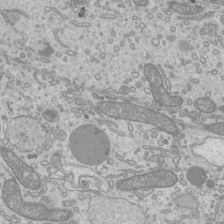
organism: Mouse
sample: Cilia; mouse epididymis